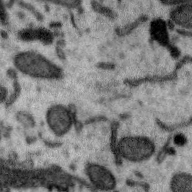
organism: Zebra finch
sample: Brain